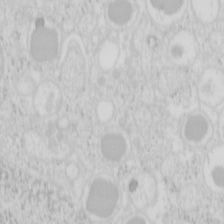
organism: Mouse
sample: Pancreas